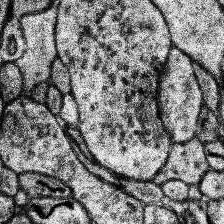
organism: Human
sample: Temporal Lobe